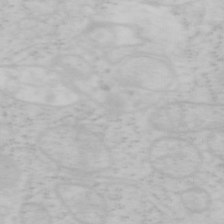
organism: Mouse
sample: OT-I killer T cells with ID8 ovarian cancer cells